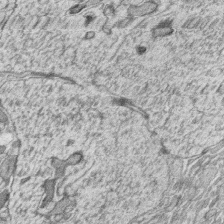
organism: Zebrafish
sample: synaptic ribbons in rod cells and cone cells